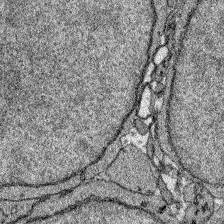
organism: Zebrafish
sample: Larval olfactory bulb